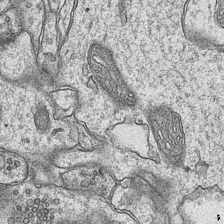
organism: Mouse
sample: CA1 Hippocampus